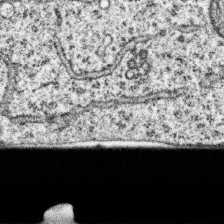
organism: Human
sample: HeLa cells